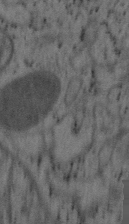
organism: Human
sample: HeLa cells